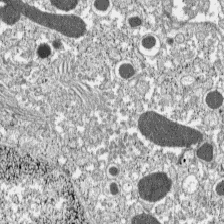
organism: C57BL Mouse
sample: Pancreatic islet